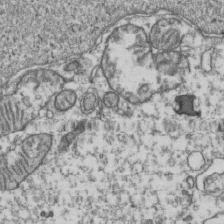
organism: Human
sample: Activated Jurkat CD4+ T cells